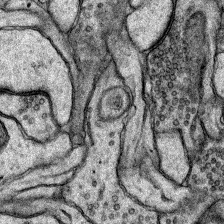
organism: Rat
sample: Hippocampus